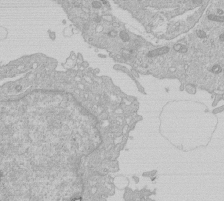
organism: Human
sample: Macrophage cells